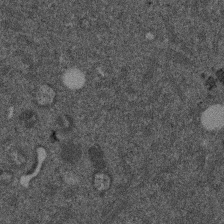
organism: Mouse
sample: Dividing mouse embryo 1 cell stage